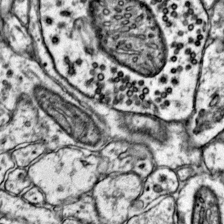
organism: Mouse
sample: Primary visual cortex